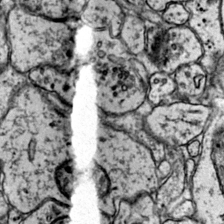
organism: Mouse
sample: Primary visual cortex